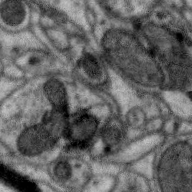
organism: Zebra finch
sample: Brain